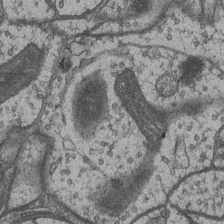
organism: Drosophila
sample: Optic medulla